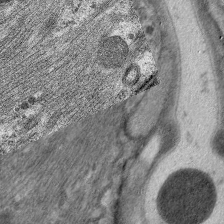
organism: C. elegans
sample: Pharynx